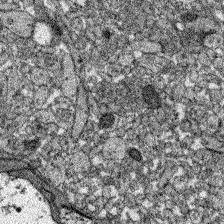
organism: Zebrafish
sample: Larval olfactory bulb